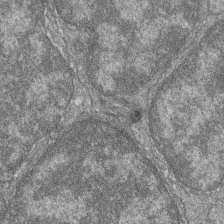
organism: Zebrafish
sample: Cilia; retinal pigment epithelium